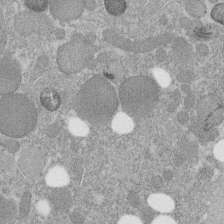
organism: C. elegans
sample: C. elegans embryo early stage